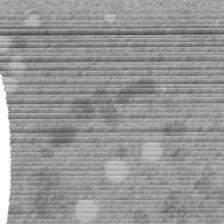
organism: C. elegans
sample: C. elegans embryo early stage